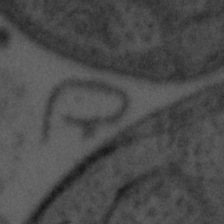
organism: Tuwongella immobilis